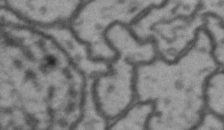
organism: Drosophila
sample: Brain